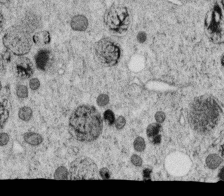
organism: C. elegans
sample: C. elegans oocyte; sperm cells